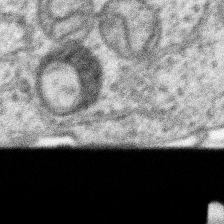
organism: Human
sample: HeLa cells